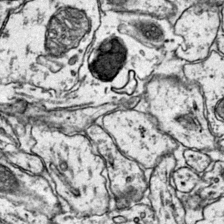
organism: Mouse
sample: Primary visual cortex